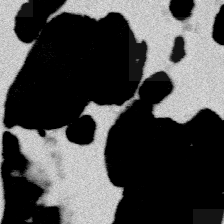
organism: Platynereis dumerilii